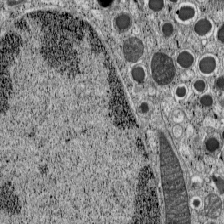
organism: C57BL Mouse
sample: Pancreatic islet